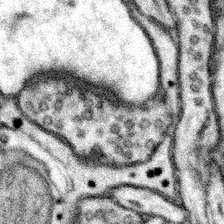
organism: Mouse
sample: Somatosensory cortex neuropil